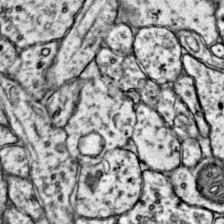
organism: Mouse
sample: Primary visual cortex